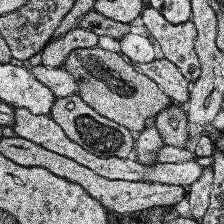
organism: Human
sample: Temporal Lobe